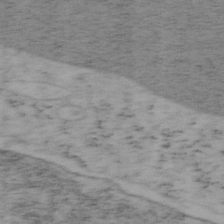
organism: Mouse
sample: OT-I killer T cells with ID8 ovarian cancer cells